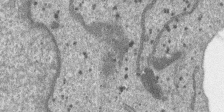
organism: Human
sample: Lung epithelial cells infected with SARS-CoV-2